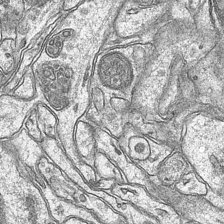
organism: Mouse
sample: CA1 Hippocampus